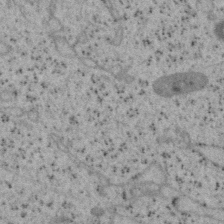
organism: Human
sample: HeLa cells